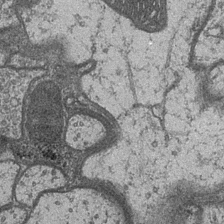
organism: Drosophila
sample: Optic medulla